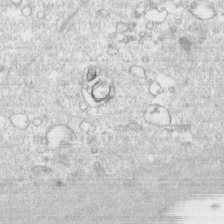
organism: Human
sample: CRL-1474